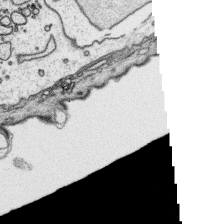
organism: Platynereis dumerilii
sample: Parapodia